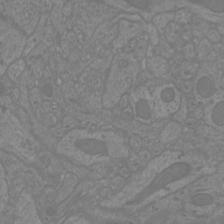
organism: Mouse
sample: Cortical neurons